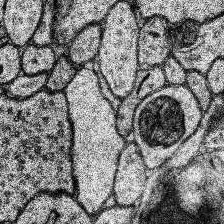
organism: Human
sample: Temporal Lobe